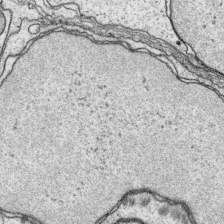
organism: Platynereis dumerilii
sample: Parapodia